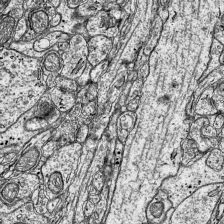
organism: Mouse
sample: Visual Cortex